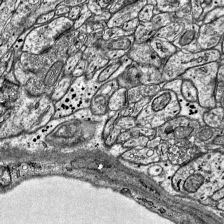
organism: Mouse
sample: Visual Cortex